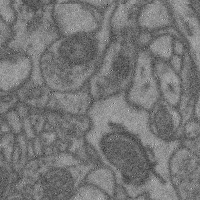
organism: Mouse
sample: Cerebral cortex